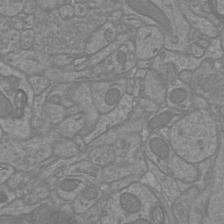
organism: Mouse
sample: Cortical neurons